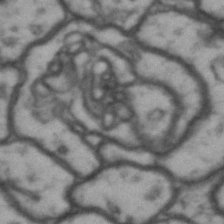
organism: Drosophila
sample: Brain